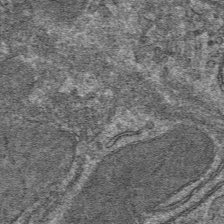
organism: Mouse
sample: Mouse hepatocytes